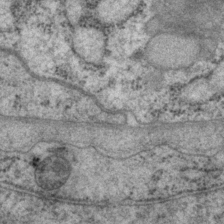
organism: P. pacificus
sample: Pharynx